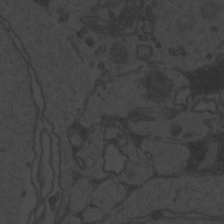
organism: Zebrafish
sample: Macrophage infected with Toxoplasma gondii